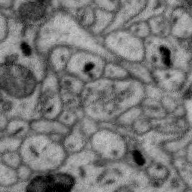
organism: Zebra finch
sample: Brain